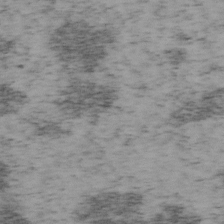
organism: Mouse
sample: OT-I killer T cells with ID8 ovarian cancer cells